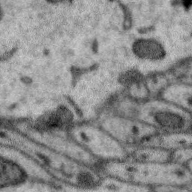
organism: Zebra finch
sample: Brain